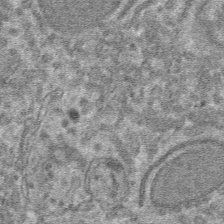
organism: Mouse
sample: Mouse hepatocytes